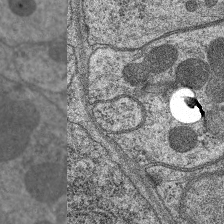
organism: C. elegans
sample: Pharynx